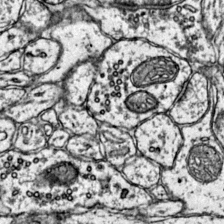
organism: Mouse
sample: Primary visual cortex